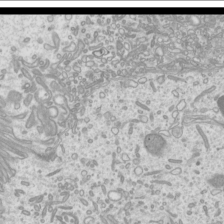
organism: Mouse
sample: Cilia; mouse epididymis